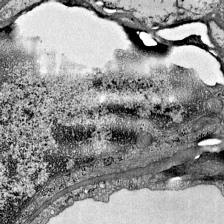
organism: Mouse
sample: Visual Cortex